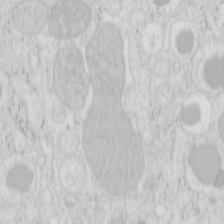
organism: Mouse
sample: Pancreas